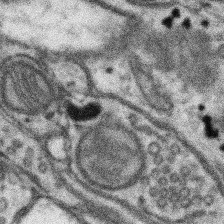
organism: Mouse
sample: Somatosensory cortex neuropil